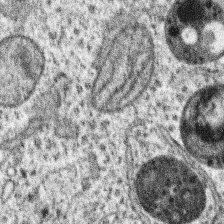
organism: Human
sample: HeLa cells